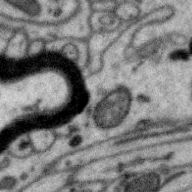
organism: Zebra finch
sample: Brain